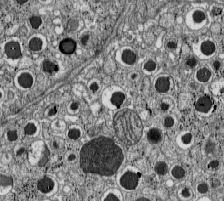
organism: C57BL Mouse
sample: Pancreatic islet